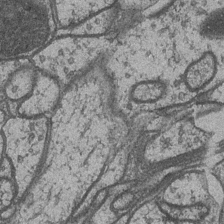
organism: Drosophila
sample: Optic medulla